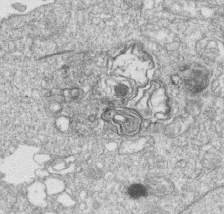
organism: Human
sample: HeLa cell HIV synapse